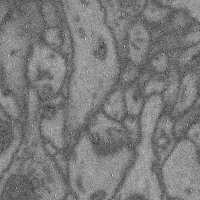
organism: Mouse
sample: Cerebral cortex